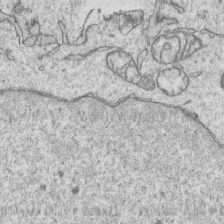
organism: Human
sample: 1205lu cells